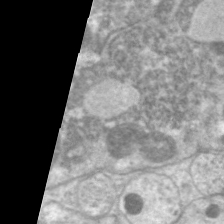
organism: C. elegans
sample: Pharynx